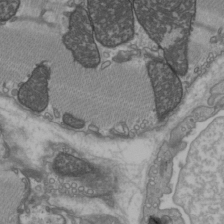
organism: C57BL Mouse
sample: Heart